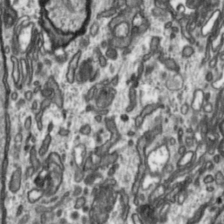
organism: Toxoplasma gondii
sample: Parasites in a vacuole inside a host cell